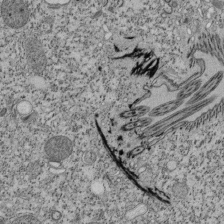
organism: Tetrahymena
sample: Cilia in tetrahymena